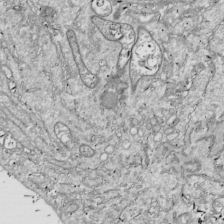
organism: Drosophila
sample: Cell division; meiosis; drosophila spermatocytes